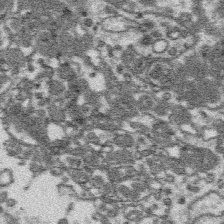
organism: Platynereis dumerilii